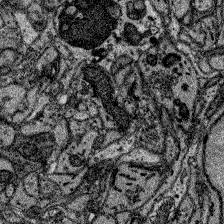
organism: Zebrafish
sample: Larval olfactory bulb